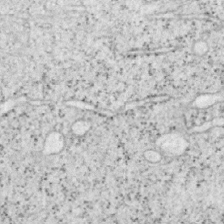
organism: Mouse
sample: OT-I killer T cells with ID8 ovarian cancer cells